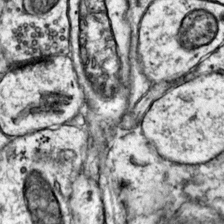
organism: Mouse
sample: Primary visual cortex